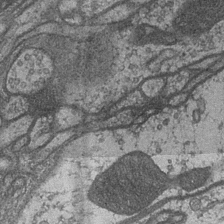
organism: Drosophila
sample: Optic medulla